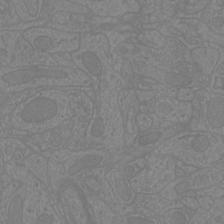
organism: Mouse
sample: Cortical neurons